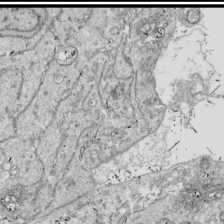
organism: Drosophila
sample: Cell division; meiosis; drosophila spermatocytes